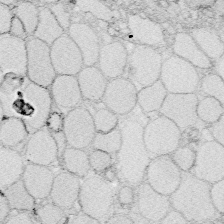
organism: Zebrafish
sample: Whole-Brain